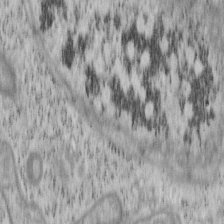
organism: Human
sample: HeLa cells